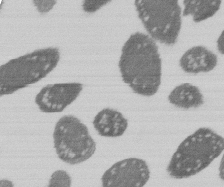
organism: E. coli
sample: Bacterial nucleoid